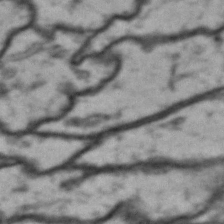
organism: Drosophila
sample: Brain